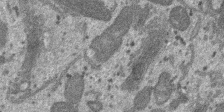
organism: Human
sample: Lung epithelial cells infected with SARS-CoV-2